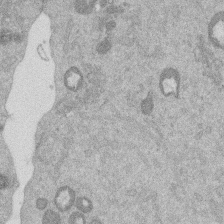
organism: Mouse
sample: Dividing mouse embryo 1 cell stage